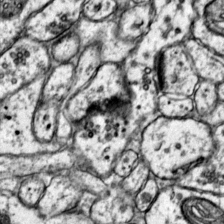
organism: Mouse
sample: Primary visual cortex